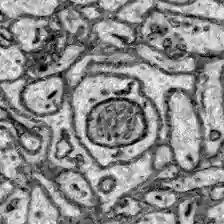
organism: Zebrafish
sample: Brain